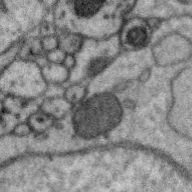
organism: Zebra finch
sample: Brain